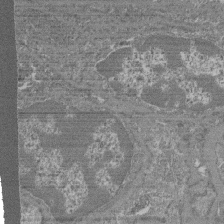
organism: Mouse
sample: Glomerulus